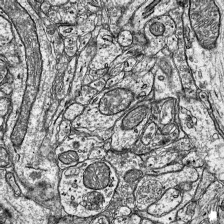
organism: Mouse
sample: Visual Cortex